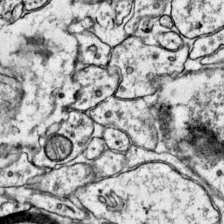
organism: Mouse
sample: Primary visual cortex